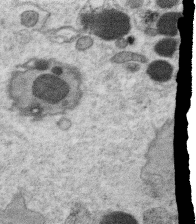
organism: C. elegans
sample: C. elegans oocyte; sperm cells